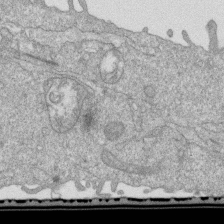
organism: Human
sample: HeLa cell HIV synapse